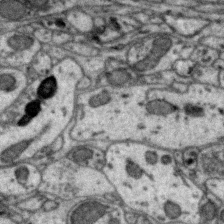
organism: Zebra finch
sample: Brain